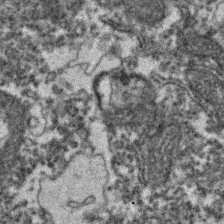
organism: Zebrafish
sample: Zebrafish embryo